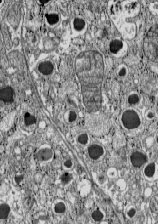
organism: C57BL Mouse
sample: Pancreatic islet